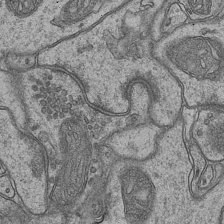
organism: Mouse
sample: CA1 Hippocampus